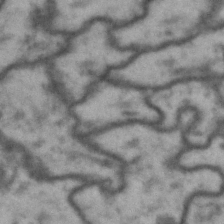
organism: Drosophila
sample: Brain